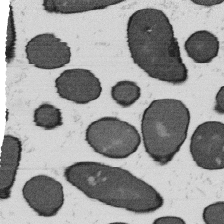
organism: B. subtilis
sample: Bacterial spore